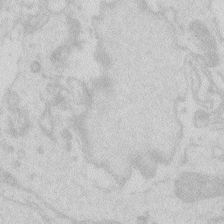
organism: Zebrafish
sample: Macrophage